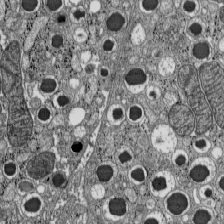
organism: C57BL Mouse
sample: Pancreatic islet